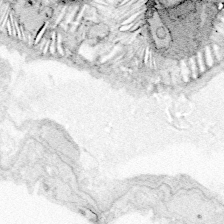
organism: Zebrafish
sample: Whole-Brain